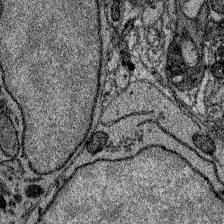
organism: Zebrafish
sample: Larval olfactory bulb